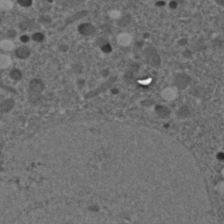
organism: C. elegans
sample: C. elegans embryo